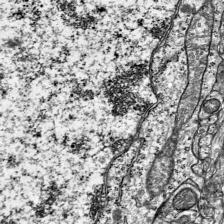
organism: Mouse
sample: Visual Cortex